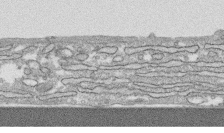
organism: Human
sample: CRL-1474